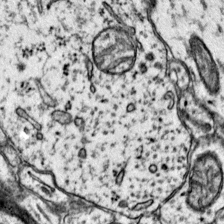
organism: Mouse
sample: Primary visual cortex